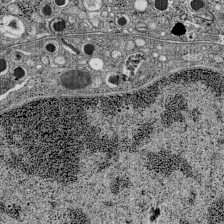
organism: C57BL Mouse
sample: Pancreatic islet